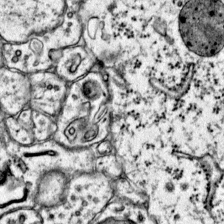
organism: Mouse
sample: Primary visual cortex